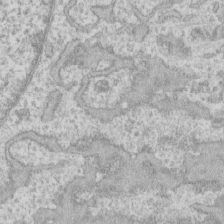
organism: Human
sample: CRL-1474